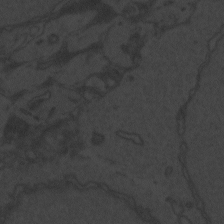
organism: Zebrafish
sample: Macrophage infected with Toxoplasma gondii